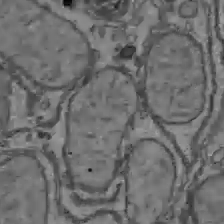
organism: C57BL Mouse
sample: Liver